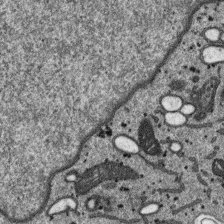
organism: Human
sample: Lung epithelial cells infected with SARS-CoV-2